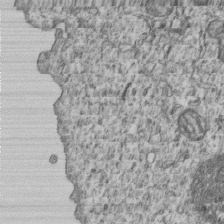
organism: Human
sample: MDA-MB-231 cells